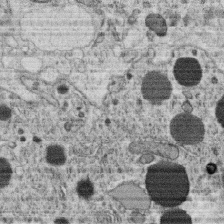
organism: C. elegans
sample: C. elegans oocyte; sperm cells